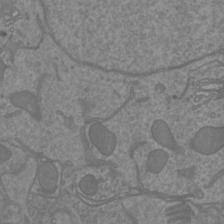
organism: Mouse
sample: Cortical neurons